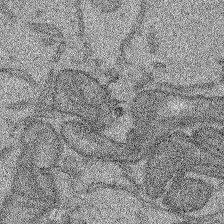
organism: Human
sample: HeLa cells